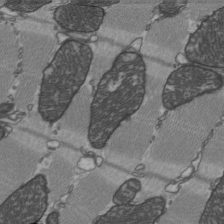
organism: C57BL Mouse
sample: Heart